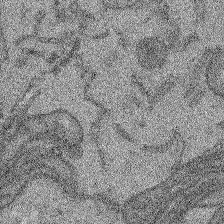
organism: Human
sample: HeLa cells